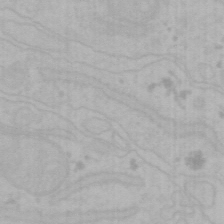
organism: Mouse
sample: Choroid plexus